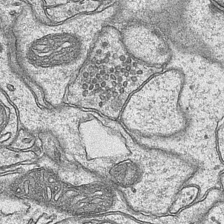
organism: Mouse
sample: CA1 Hippocampus